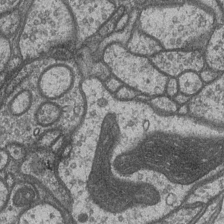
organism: Drosophila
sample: Optic medulla